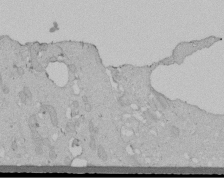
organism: Human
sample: Melanocyte Keratinocyte synapse skin construct